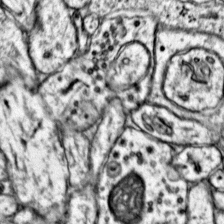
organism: Mouse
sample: Primary visual cortex